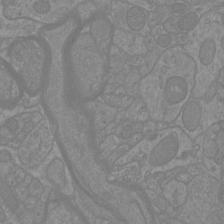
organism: Mouse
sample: Cortical neurons